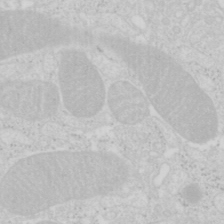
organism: Mouse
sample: Pancreas